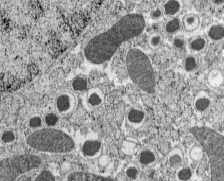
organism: C57BL Mouse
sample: Pancreatic islet